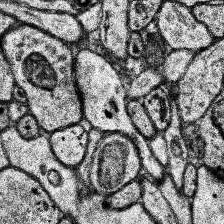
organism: Human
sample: Temporal Lobe